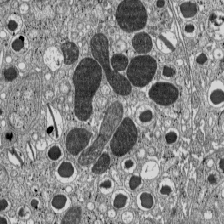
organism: C57BL Mouse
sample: Pancreatic islet